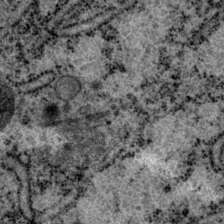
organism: P. pacificus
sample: Pharynx